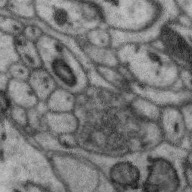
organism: Zebra finch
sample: Brain